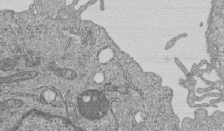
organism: Human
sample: MDA-MB-231 cells